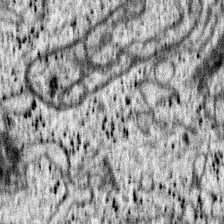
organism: Human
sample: HeLa cells